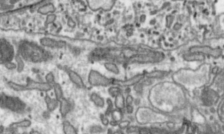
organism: Toxoplasma gondii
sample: Parasites in a vacuole inside a host cell